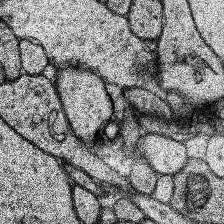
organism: Human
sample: Temporal Lobe